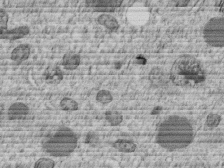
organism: C. elegans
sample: C. elegans embryo early stage